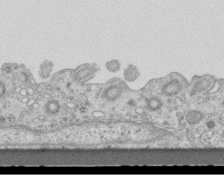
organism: Mouse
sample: Centriole in ependymal cells